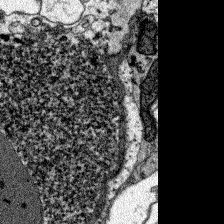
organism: Zebrafish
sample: Larval olfactory bulb